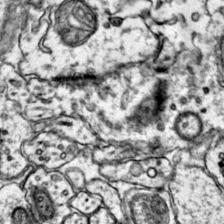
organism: Mouse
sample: Primary visual cortex